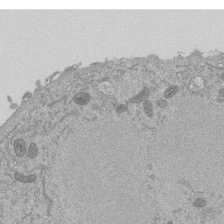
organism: Mouse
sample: ED-1 cell nuclei; centrioles